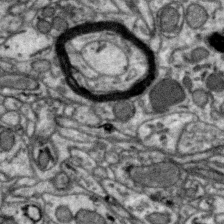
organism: Zebra finch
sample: Brain